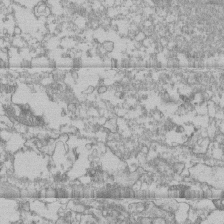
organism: Human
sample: CRL-1474